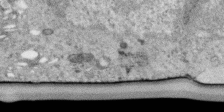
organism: Human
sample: Centriole in RPE cells